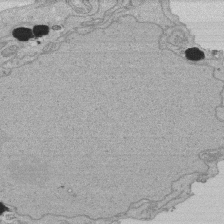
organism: Human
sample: Activated Jurkat CD4+ T cells